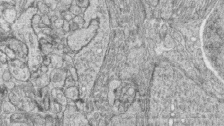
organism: Zebrafish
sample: synaptic ribbons in rod cells and cone cells